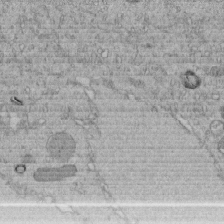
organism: C. elegans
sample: C. elegans embryo early stage